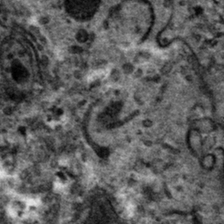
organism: Mouse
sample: Mouse hepatocytes